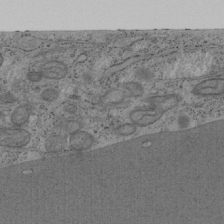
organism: Human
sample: HeLa cells